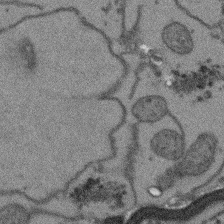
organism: Arabidopsis thaliana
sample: Root tip